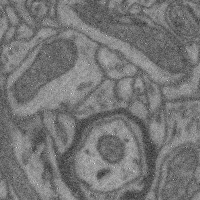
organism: Mouse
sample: Cerebral cortex